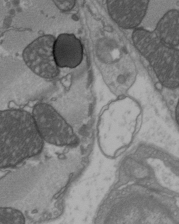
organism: C57BL Mouse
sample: Heart